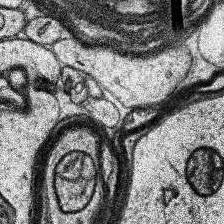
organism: Human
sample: Temporal Lobe